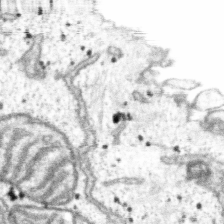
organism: Human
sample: HeLa cells